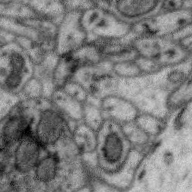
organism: Zebra finch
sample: Brain